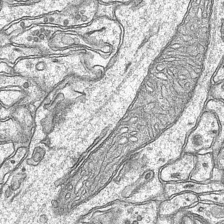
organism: Mouse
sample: CA1 Hippocampus